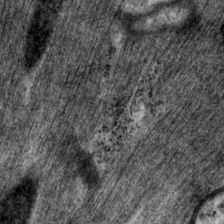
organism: P. pacificus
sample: Pharynx